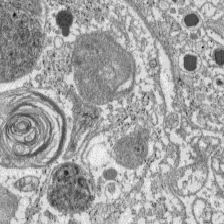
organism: C57BL Mouse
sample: Pancreatic islet